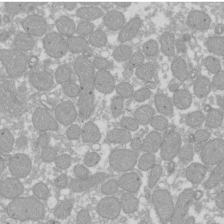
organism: Xenopus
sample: Cilia; centrioles in frog embryo cells